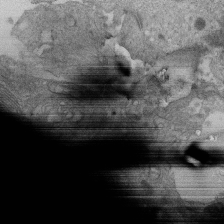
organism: Human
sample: Retinal organoid Rod and Cone cells